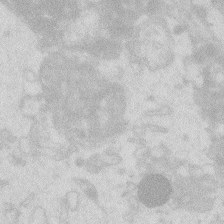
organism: Zebrafish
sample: Macrophage